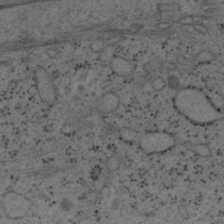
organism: Human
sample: HeLa cells